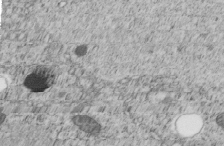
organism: C. elegans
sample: C. elegans embryo early stage